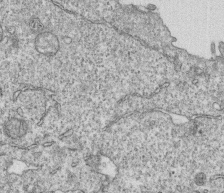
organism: Human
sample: HeLa cell HIV synapse